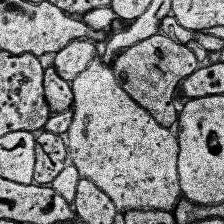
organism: Human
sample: Temporal Lobe